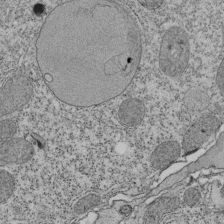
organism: Tetrahymena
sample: Cilia in tetrahymena